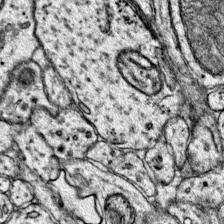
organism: Mouse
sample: Primary visual cortex